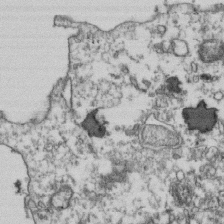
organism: Human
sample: Activated Jurkat CD4+ T cells